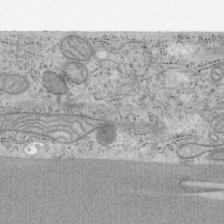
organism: Human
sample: HeLa cells